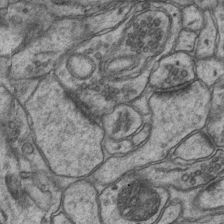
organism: Mouse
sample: CA1 Hippocampus